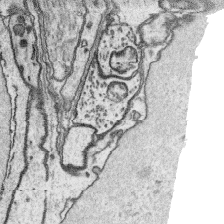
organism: Platynereis dumerilii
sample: Parapodia